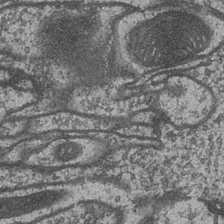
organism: Drosophila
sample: Optic medulla